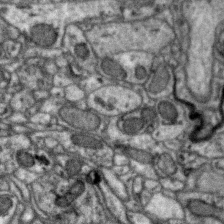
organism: Zebra finch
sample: Brain